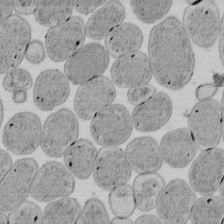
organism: E. coli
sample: Bacterial nucleoid